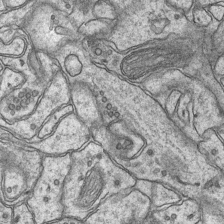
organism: Mouse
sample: CA1 Hippocampus